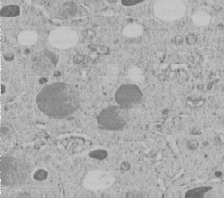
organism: C. elegans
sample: C. elegans embryo early stage